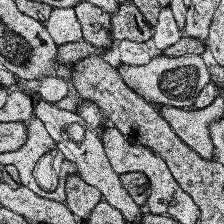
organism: Human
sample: Temporal Lobe